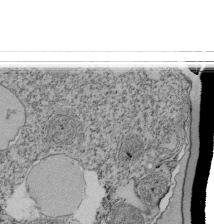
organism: Tetrahymena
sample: Cilia in tetrahymena